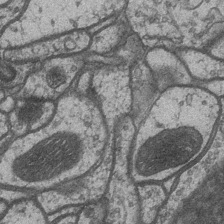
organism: Drosophila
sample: Optic medulla